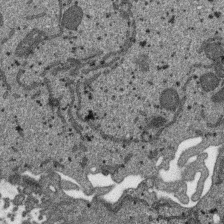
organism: Human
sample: Lung epithelial cells infected with SARS-CoV-2